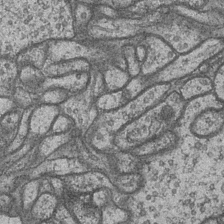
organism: Drosophila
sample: Optic medulla